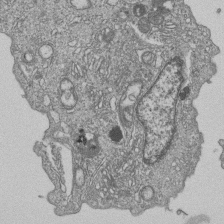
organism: Human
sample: MDA-MB-231 cells